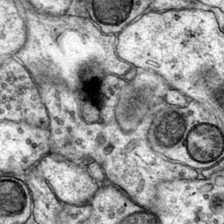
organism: Mouse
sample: Primary visual cortex